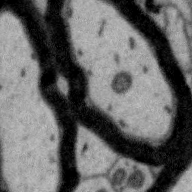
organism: Zebra finch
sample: Brain